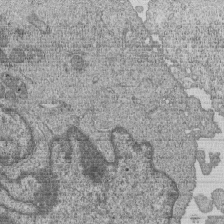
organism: Human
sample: MDA-MB-231 cells